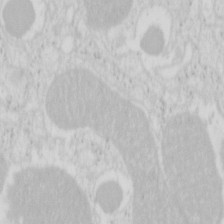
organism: Mouse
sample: Pancreas